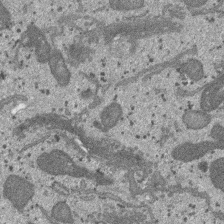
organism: Human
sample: Lung epithelial cells infected with SARS-CoV-2